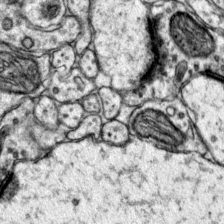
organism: Mouse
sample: Primary visual cortex